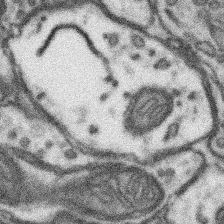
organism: Mouse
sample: Somatosensory cortex neuropil